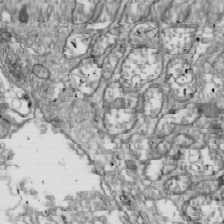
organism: Drosophila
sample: Cell division; meiosis; drosophila spermatocytes